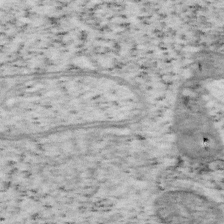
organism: Mouse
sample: OT-I killer T cells with ID8 ovarian cancer cells